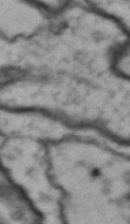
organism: Drosophila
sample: Brain